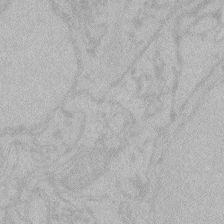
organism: Zebrafish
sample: Macrophage infected with Toxoplasma gondii